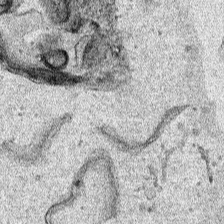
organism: Human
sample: Mitochondria in HCT116 cells